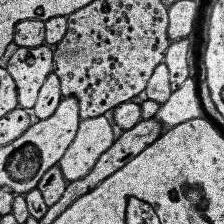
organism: Human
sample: Temporal Lobe